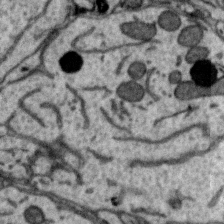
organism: Zebra finch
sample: Brain